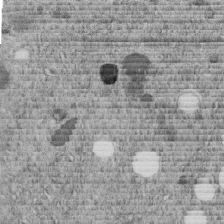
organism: C. elegans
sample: C. elegans embryo early stage